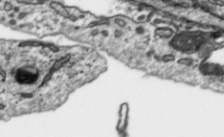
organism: Toxoplasma gondii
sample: Parasites in a vacuole inside a host cell